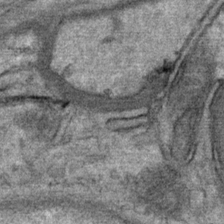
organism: Mouse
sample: Mouse Salivary gland